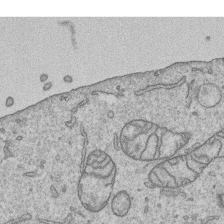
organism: Human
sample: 1205lu cells